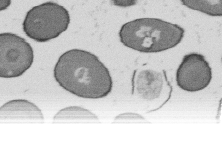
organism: B. subtilis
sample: Bacterial spore